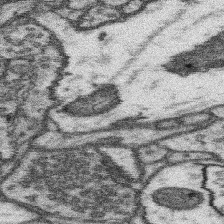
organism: Mouse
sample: Somatosensory cortex neuropil